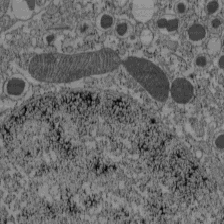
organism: C57BL Mouse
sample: Pancreatic islet